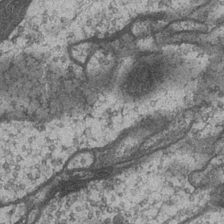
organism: Drosophila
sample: Optic medulla